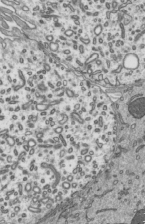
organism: Mouse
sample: Mouse epididymis efferent ductule cilia